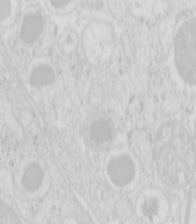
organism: Mouse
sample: Pancreas